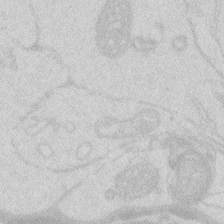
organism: Zebrafish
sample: Macrophage